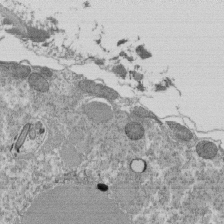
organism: Tetrahymena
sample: Cilia in tetrahymena